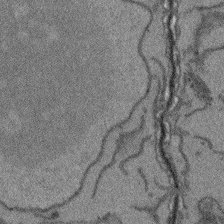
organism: Arabidopsis thaliana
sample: Root tip